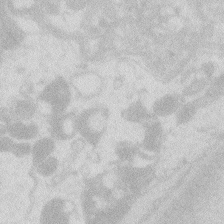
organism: Zebrafish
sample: Macrophage